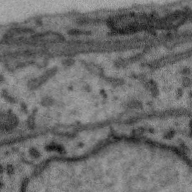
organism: Zebra finch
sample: Brain